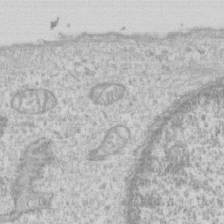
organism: Human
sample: CRL-1474